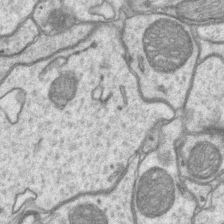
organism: Mouse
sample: CA1 Hippocampus